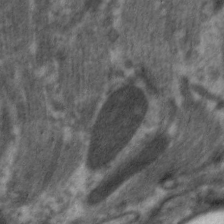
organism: C. elegans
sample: Pharynx